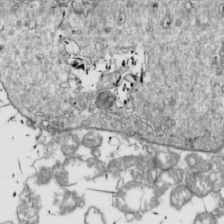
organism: Drosophila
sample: Cell division; meiosis; drosophila spermatocytes